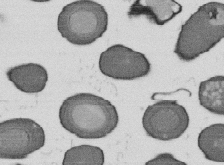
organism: B. subtilis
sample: Bacterial spore